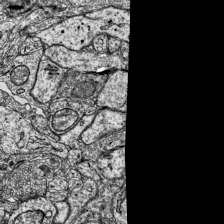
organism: Mouse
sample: Visual Cortex